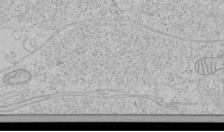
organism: Human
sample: Mitochondria in HCT116 cells